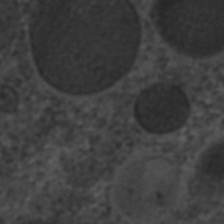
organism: C. elegans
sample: C. elegans embryo